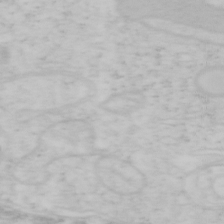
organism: Mouse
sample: OT-I killer T cells with ID8 ovarian cancer cells